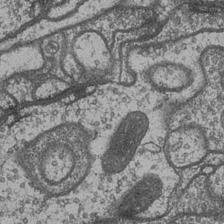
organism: Drosophila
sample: Optic medulla